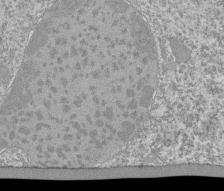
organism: Tetrahymena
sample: Cilia in tetrahymena